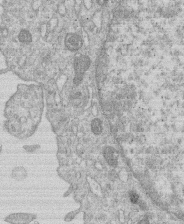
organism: Human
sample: Macrophage cells